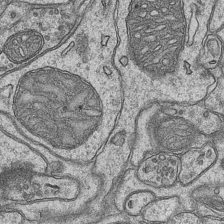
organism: Mouse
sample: CA1 Hippocampus